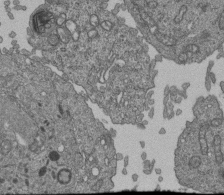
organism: Human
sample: Retinal organoid Rod and Cone cells